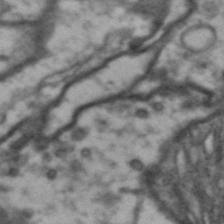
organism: Drosophila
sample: Brain